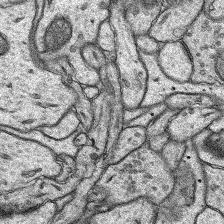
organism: Rat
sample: Hippocampus